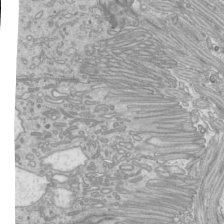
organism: Mouse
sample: Cilia; mouse epididymis